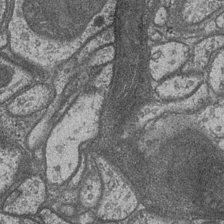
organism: Drosophila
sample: Optic medulla